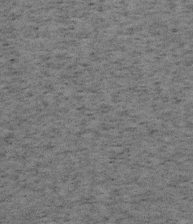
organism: Mouse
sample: OT-I killer T cells with ID8 ovarian cancer cells